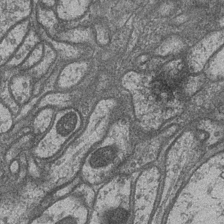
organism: Drosophila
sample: Optic medulla